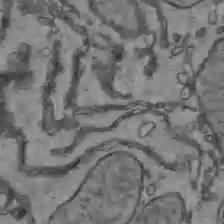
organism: C57BL Mouse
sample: Liver